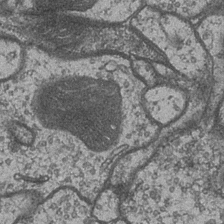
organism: Drosophila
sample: Optic medulla